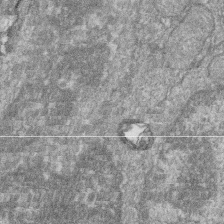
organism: Zebrafish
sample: Cilia; retinal pigment epithelium